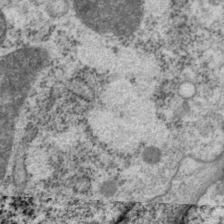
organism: P. pacificus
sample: Pharynx